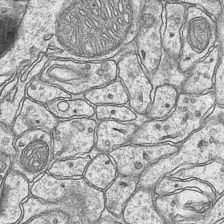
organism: Mouse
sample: CA1 Hippocampus